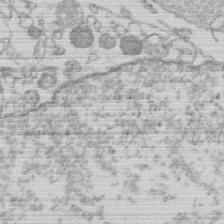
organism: Human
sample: Macrophage cells